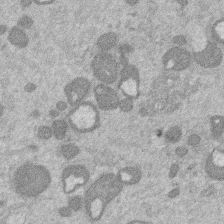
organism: Mouse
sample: Dividing mouse embryo 1 cell stage